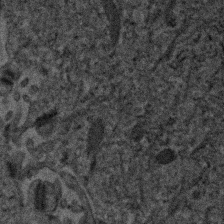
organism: Human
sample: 1205lu cells